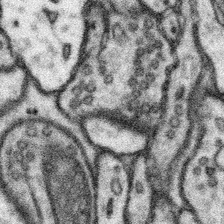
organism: Mouse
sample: Somatosensory cortex neuropil